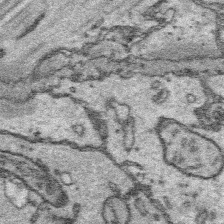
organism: Platynereis dumerilii